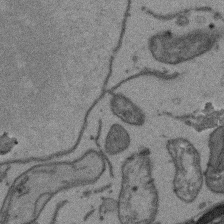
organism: Arabidopsis thaliana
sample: Root tip